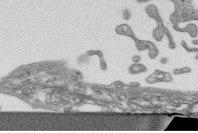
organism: Human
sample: CRL-1474